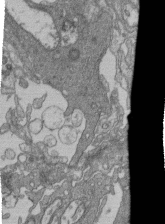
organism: Human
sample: Retinal organoid Rod and Cone cells